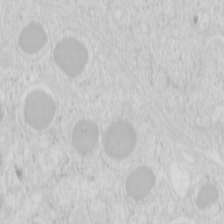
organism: Mouse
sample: Pancreas